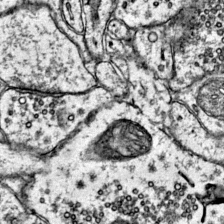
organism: Mouse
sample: Primary visual cortex